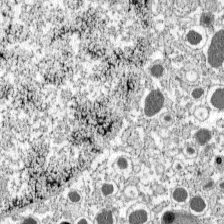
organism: C57BL Mouse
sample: Pancreatic islet